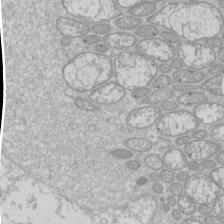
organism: Drosophila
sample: Cell division; meiosis; drosophila spermatocytes